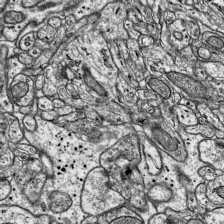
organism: Mouse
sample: Visual Cortex